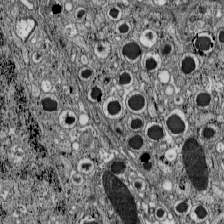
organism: C57BL Mouse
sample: Pancreatic islet